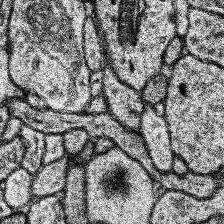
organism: Human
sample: Temporal Lobe